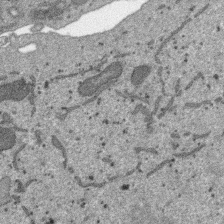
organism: Human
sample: Lung epithelial cells infected with SARS-CoV-2